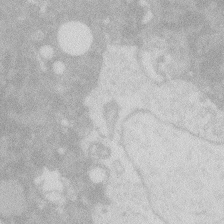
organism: Zebrafish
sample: Macrophage